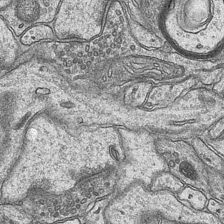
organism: Mouse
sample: CA1 Hippocampus